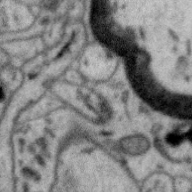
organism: Zebra finch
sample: Brain